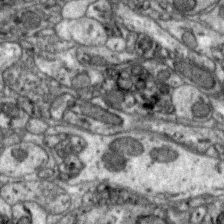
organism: Zebra finch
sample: Brain